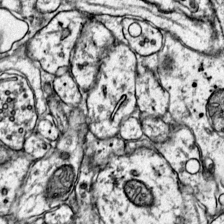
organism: Mouse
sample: Primary visual cortex